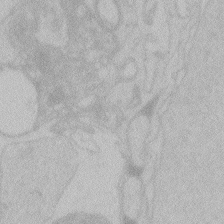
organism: Zebrafish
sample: Macrophage infected with Toxoplasma gondii